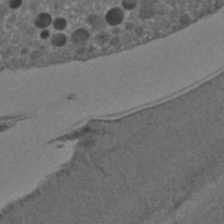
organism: C. elegans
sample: C. elegans embryo